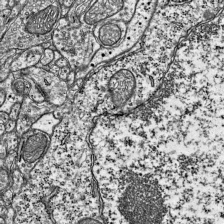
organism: Mouse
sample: Visual Cortex